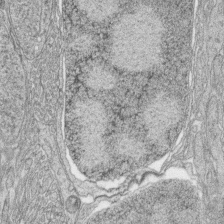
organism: Zebrafish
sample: synaptic ribbons in rod cells and cone cells